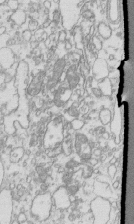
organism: Mouse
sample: Macrophages